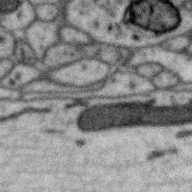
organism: Zebra finch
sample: Brain